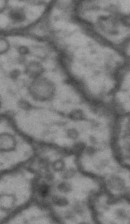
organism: Drosophila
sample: Brain